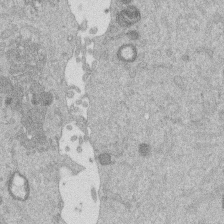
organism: Mouse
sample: Dividing mouse embryo 1 cell stage